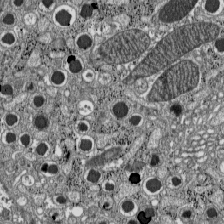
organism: C57BL Mouse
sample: Pancreatic islet